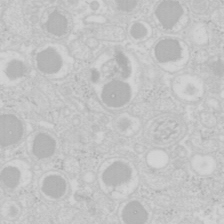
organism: Mouse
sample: Pancreas